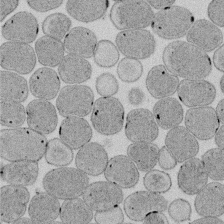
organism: E. coli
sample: Bacterial nucleoid